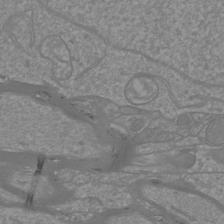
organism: Mouse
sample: Cortical neurons